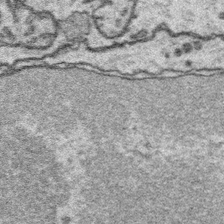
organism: Platynereis dumerilii